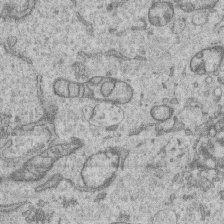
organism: Human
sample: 1205lu cells